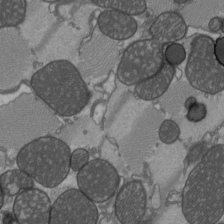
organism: C57BL Mouse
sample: Heart